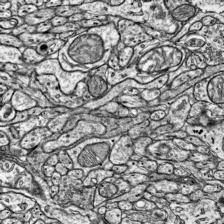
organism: Mouse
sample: Visual Cortex